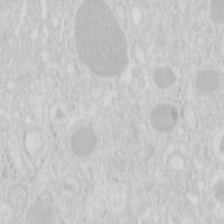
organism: Mouse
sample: Pancreas